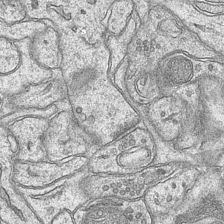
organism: Mouse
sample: CA1 Hippocampus